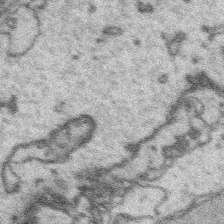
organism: Platynereis dumerilii